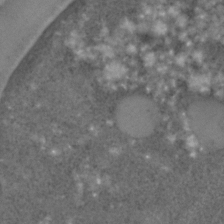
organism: C. elegans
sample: C. elegans embryo